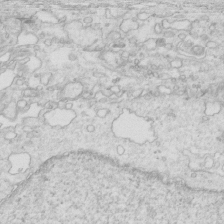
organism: Mouse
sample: Multiciliated cells